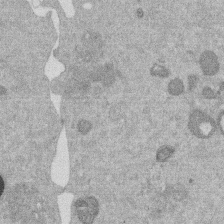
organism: Mouse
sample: Dividing mouse embryo 1 cell stage